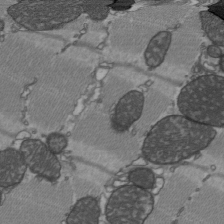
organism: C57BL Mouse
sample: Heart